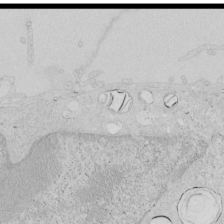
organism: Human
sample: Mitochondria in HCT116 cells